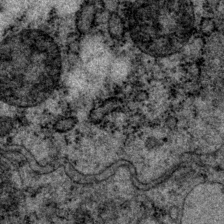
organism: P. pacificus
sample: Pharynx